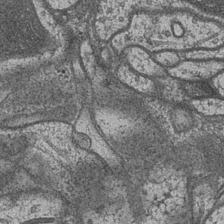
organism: Drosophila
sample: Optic medulla